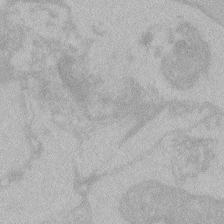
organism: Zebrafish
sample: Macrophage infected with Toxoplasma gondii